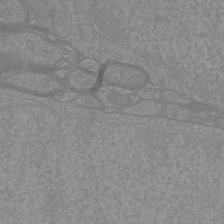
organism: Mouse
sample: Cortical neurons